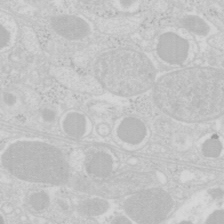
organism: Mouse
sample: Pancreas